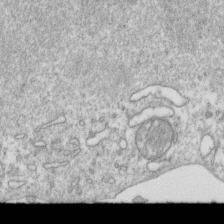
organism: Mouse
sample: Activated OT-1 CD8+ T cells